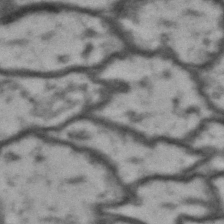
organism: Drosophila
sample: Brain